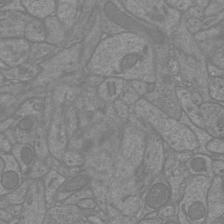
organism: Mouse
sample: Cortical neurons